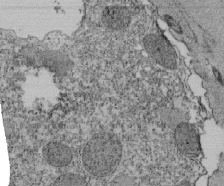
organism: Tetrahymena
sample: Cilia in tetrahymena